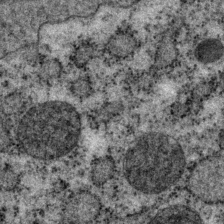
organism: P. pacificus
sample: Pharynx